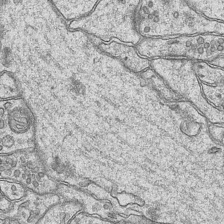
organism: Mouse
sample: CA1 Hippocampus